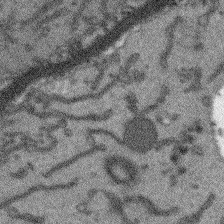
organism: Arabidopsis thaliana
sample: Root tip